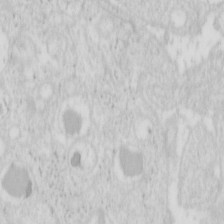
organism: Mouse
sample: Pancreas